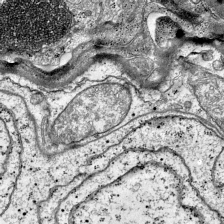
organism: Mouse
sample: Visual Cortex